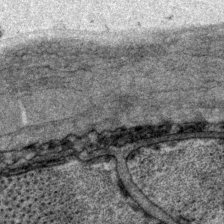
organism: P. pacificus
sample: Pharynx